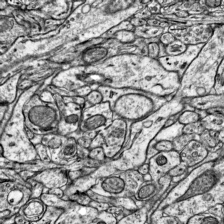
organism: Mouse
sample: Visual Cortex